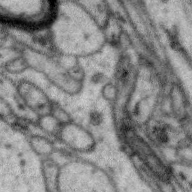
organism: Zebra finch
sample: Brain